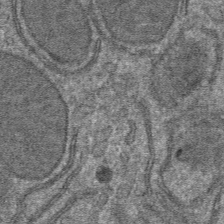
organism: Mouse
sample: Mouse hepatocytes